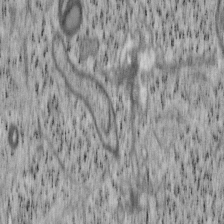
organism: Human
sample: HeLa cells